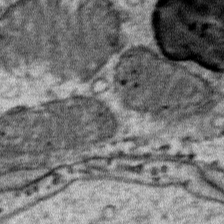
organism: Mouse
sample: Mouse Salivary gland